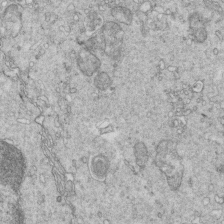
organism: Mouse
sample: Multiciliated cells